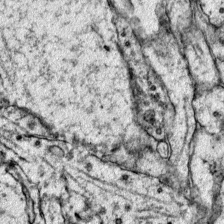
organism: Mouse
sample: Primary visual cortex